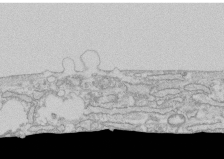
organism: Human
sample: CRL-1474